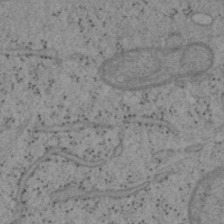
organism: Human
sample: HeLa cells